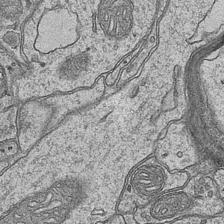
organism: Mouse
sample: CA1 Hippocampus